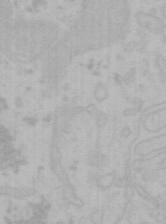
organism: Mouse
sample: Choroid plexus